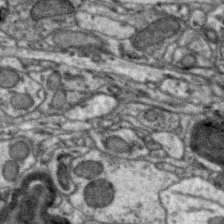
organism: Zebra finch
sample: Brain